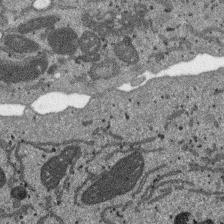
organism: Human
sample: Lung epithelial cells infected with SARS-CoV-2